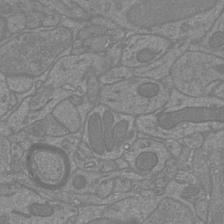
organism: Mouse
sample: Cortical neurons